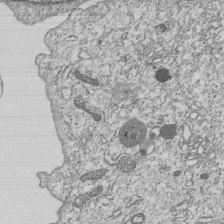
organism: Human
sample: MDA-MB-231 cells